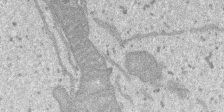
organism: Human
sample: Lung epithelial cells infected with SARS-CoV-2